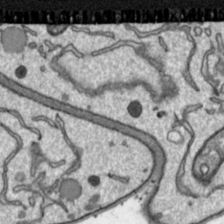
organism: Toxoplasma gondii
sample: Parasites in a vacuole inside a host cell